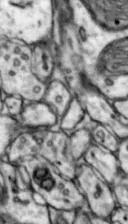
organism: Mouse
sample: Nucleus accumbens